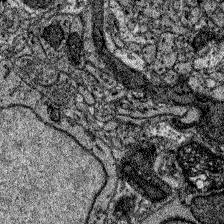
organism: Zebrafish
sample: Larval olfactory bulb